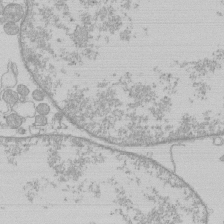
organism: Human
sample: Macrophage cells